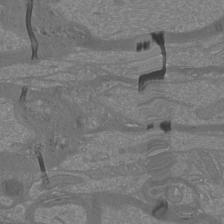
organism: Mouse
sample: Cortical neurons